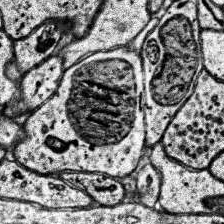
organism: Human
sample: Temporal Lobe